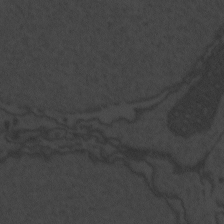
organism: Zebrafish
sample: Macrophage infected with Toxoplasma gondii